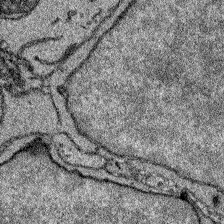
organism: Zebrafish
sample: Larval olfactory bulb